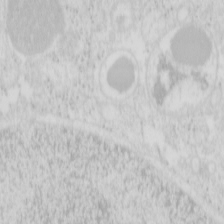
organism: Mouse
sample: Pancreas